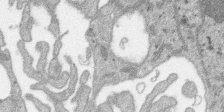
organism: Human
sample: Lung epithelial cells infected with SARS-CoV-2